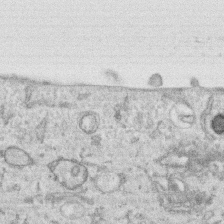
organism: Human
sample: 1205lu cells